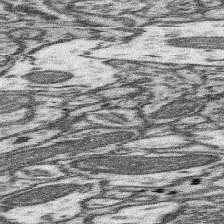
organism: Mouse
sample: Somatosensory cortex neuropil